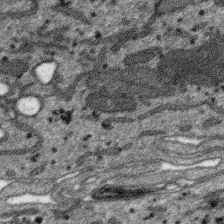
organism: Human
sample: Lung epithelial cells infected with SARS-CoV-2